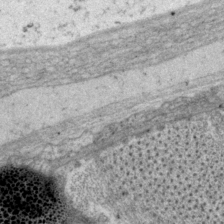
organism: P. pacificus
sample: Pharynx